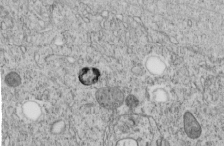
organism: C. elegans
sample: C. elegans embryo early stage